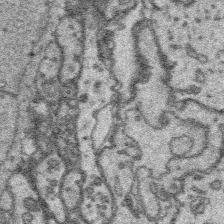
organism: Platynereis dumerilii